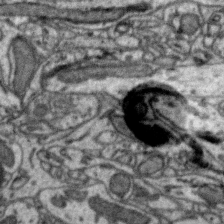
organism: Zebra finch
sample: Brain